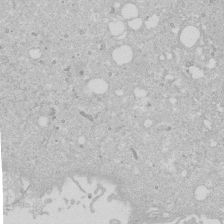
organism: Human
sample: Caco-2 cells